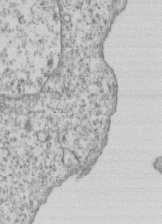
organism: Human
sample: MDA-MB-231 cells